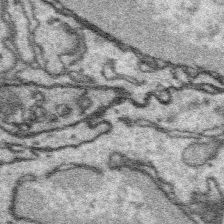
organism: Platynereis dumerilii